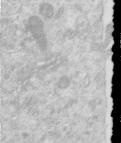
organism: Human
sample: Centriole in RPE cells